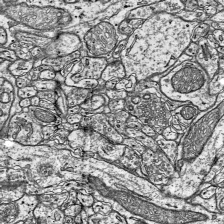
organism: Mouse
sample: Visual Cortex